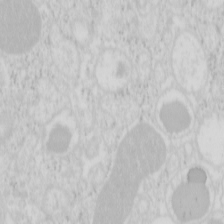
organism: Mouse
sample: Pancreas